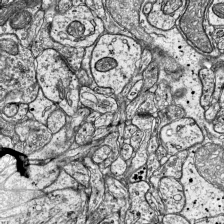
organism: Mouse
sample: Visual Cortex